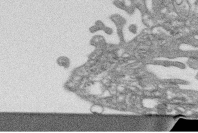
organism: Human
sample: CRL-1474